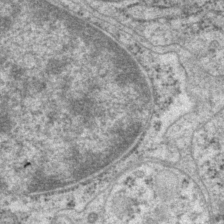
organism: P. pacificus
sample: Pharynx